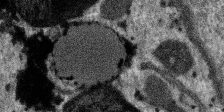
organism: Human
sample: Lung epithelial cells infected with SARS-CoV-2